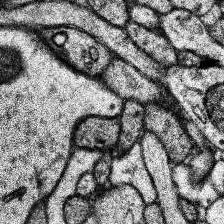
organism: Human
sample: Temporal Lobe